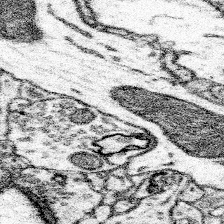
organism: Mouse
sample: Somatosensory cortex neuropil